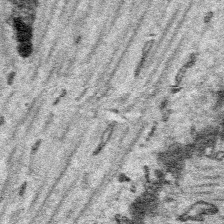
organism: Platynereis dumerilii